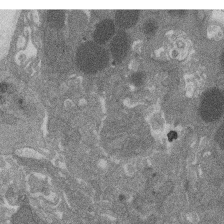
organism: Rat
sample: Salivary granule